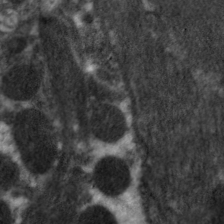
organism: C. elegans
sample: Pharynx